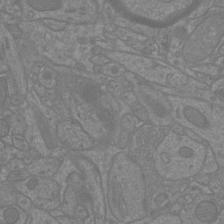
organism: Mouse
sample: Cortical neurons